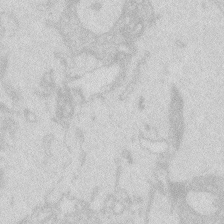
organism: Zebrafish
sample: Macrophage